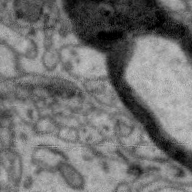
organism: Zebra finch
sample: Brain